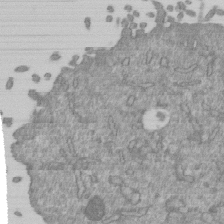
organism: Mouse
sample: ED-1 cell nuclei; centrioles